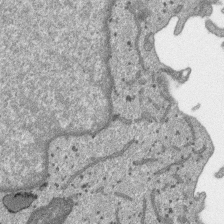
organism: Human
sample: Lung epithelial cells infected with SARS-CoV-2